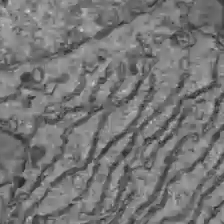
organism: C57BL Mouse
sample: Liver